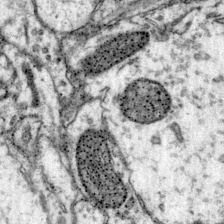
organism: Mouse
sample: Primary visual cortex